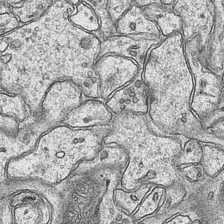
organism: Mouse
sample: CA1 Hippocampus